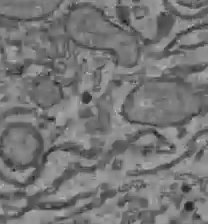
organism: C57BL Mouse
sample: Liver